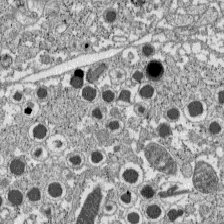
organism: C57BL Mouse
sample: Pancreatic islet